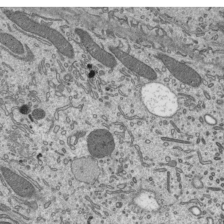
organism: Mouse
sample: Mouse epididymis efferent ductule cilia